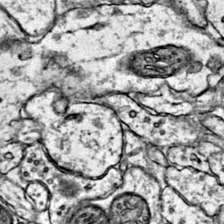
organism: Mouse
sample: Primary visual cortex